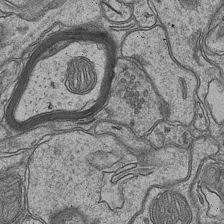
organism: Mouse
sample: CA1 Hippocampus